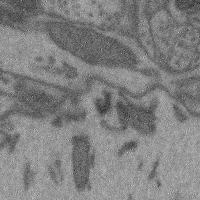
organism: Mouse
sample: Cerebral cortex